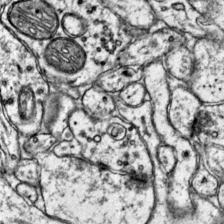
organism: Mouse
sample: Primary visual cortex